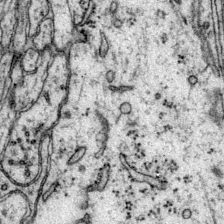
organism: Mouse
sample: Primary visual cortex